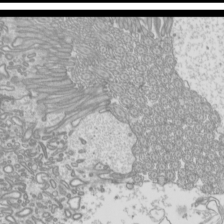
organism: Mouse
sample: Cilia; mouse epididymis